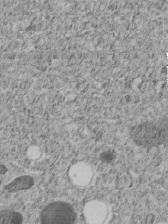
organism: C. elegans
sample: C. elegans embryo early stage